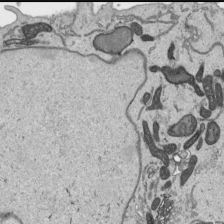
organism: Human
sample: Mitochondria in HCT116 cells